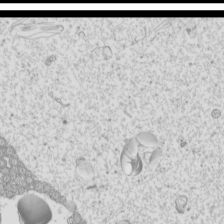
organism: Mouse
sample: Cilia; mouse epididymis